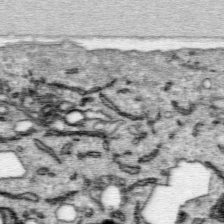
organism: Human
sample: HeLa cells